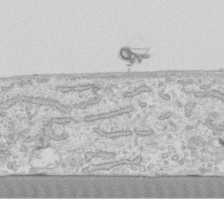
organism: Human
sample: Fibroblast cells